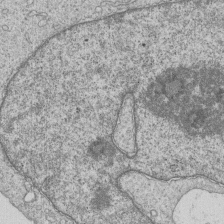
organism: Human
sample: MDA-MB-231 cells